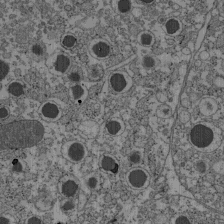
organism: C57BL Mouse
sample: Pancreatic islet